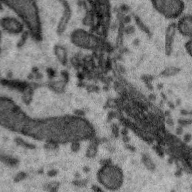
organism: Zebra finch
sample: Brain